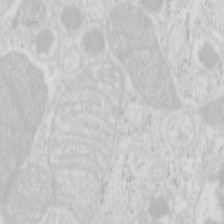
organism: Mouse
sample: Pancreas